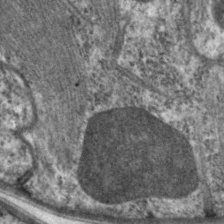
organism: C. elegans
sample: Pharynx